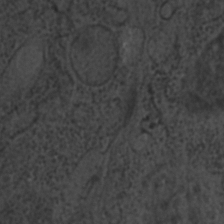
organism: C. elegans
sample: C. elegans embryo